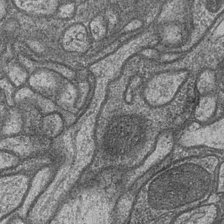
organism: Drosophila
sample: Optic medulla